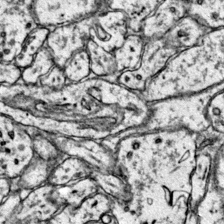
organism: Mouse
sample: Primary visual cortex